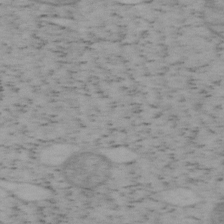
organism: Mouse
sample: OT-I killer T cells with ID8 ovarian cancer cells